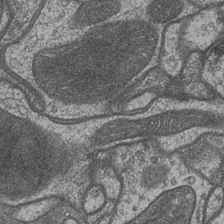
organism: Drosophila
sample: Optic medulla